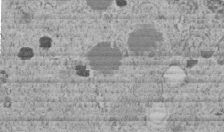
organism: C. elegans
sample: C. elegans embryo early stage